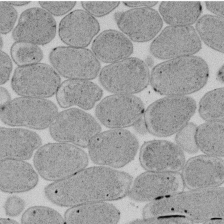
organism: E. coli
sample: Bacterial nucleoid